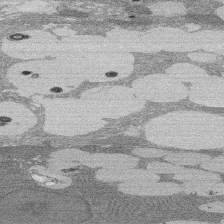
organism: Rat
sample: Salivary granule